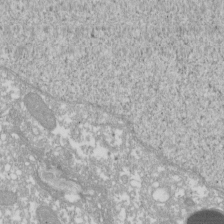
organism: Xenopus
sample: Cilia; centrioles in frog embryo cells